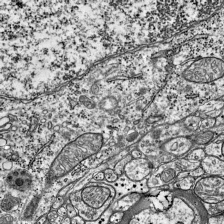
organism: Mouse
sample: Visual Cortex